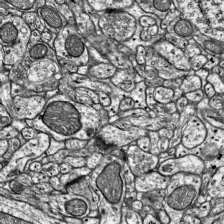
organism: Mouse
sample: Visual Cortex